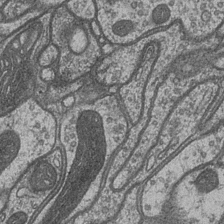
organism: Drosophila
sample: Optic medulla